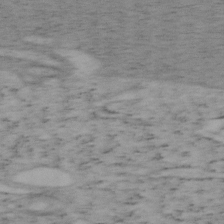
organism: Mouse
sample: OT-I killer T cells with ID8 ovarian cancer cells